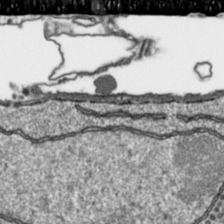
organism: Toxoplasma gondii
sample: Parasites in a vacuole inside a host cell